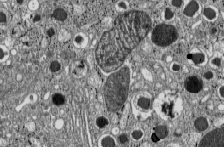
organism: C57BL Mouse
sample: Pancreatic islet